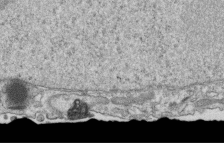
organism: Human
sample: HeLa cell HIV synapse